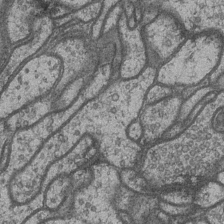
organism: Drosophila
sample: Optic medulla